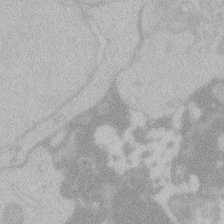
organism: Zebrafish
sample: Macrophage infected with Toxoplasma gondii